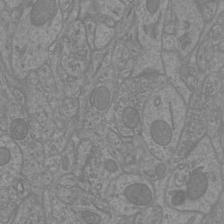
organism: Mouse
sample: Cortical neurons